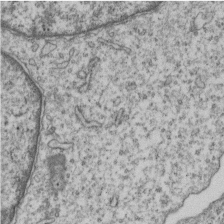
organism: Human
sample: MDA-MB-231 cells